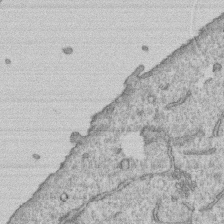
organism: Human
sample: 1205lu cells